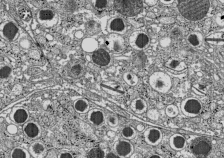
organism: C57BL Mouse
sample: Pancreatic islet